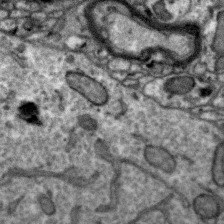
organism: Zebra finch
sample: Brain